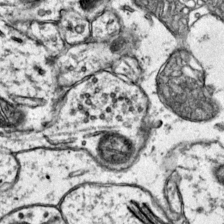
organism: Mouse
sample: Primary visual cortex